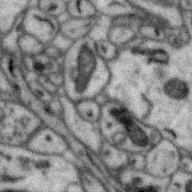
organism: Zebra finch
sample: Brain